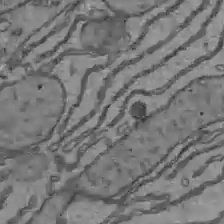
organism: C57BL Mouse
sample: Liver